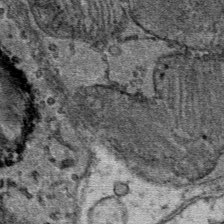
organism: Mouse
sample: Mouse Salivary gland